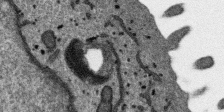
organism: Human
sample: Lung epithelial cells, uninfected (mock) control